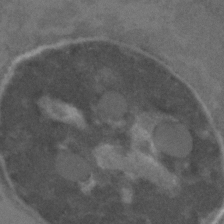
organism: C. elegans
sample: C. elegans embryo